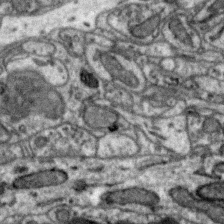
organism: Zebra finch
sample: Brain